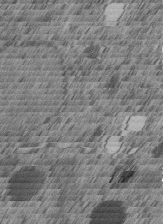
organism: C. elegans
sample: C. elegans embryo early stage